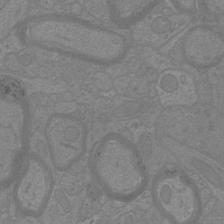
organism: Mouse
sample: Cortical neurons